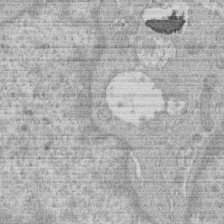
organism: Human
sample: Macrophage cells